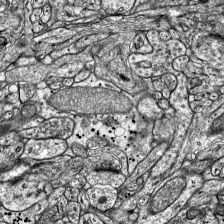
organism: Mouse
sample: Visual Cortex